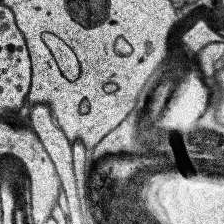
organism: Human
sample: Temporal Lobe